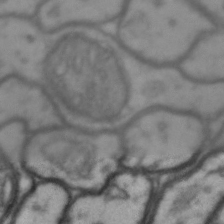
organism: Drosophila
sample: Brain